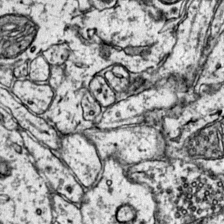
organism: Mouse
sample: Primary visual cortex